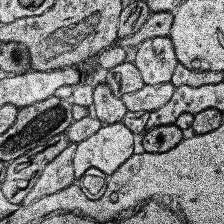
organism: Human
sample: Temporal Lobe